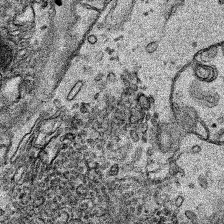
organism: Human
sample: Mitochondria in HCT116 cells